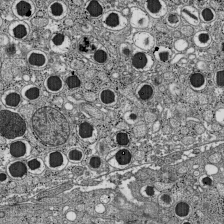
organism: C57BL Mouse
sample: Pancreatic islet